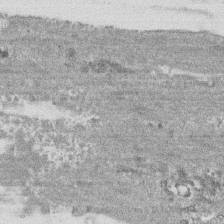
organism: Human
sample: CRL-1474